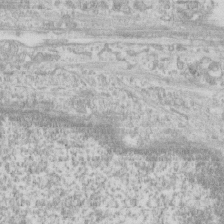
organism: Human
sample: CRL-1474